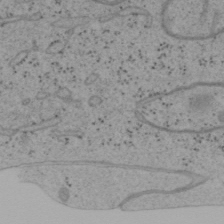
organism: Human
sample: HeLa cells